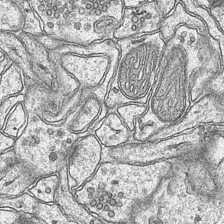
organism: Mouse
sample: CA1 Hippocampus